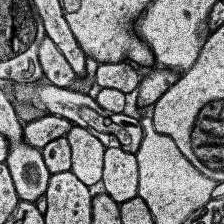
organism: Human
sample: Temporal Lobe